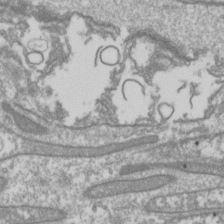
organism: Drosophila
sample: Cell division; meiosis; drosophila spermatocytes